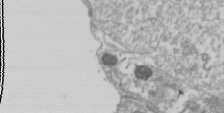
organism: Drosophila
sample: Cell division; meiosis; drosophila spermatocytes